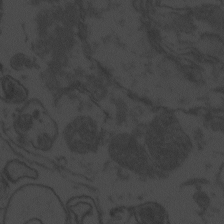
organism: Zebrafish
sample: Macrophage infected with Toxoplasma gondii